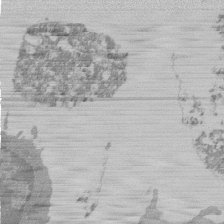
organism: Mouse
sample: Activated Pmel transgenic CD8+ T Cells